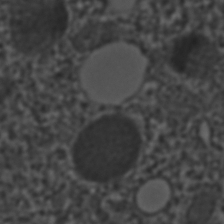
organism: C. elegans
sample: C. elegans embryo